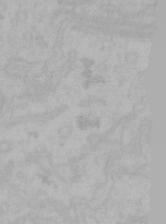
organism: Mouse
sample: Choroid plexus